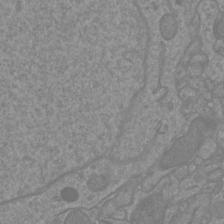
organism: Mouse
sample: Cortical neurons